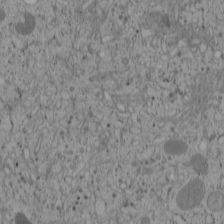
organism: African green monkey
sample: COS-7 cells